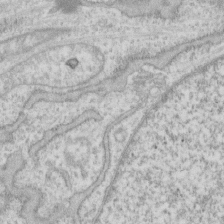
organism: Human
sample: Fibroblast cells